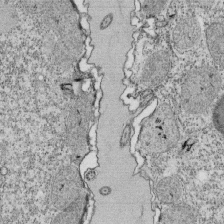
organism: Tetrahymena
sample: Cilia in tetrahymena